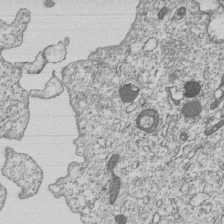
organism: Human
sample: MDA-MB-231 cells